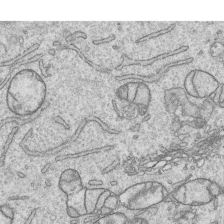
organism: Human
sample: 1205lu cells